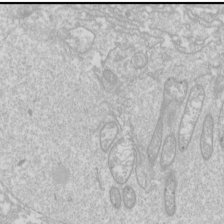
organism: Drosophila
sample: Cell division; meiosis; drosophila spermatocytes